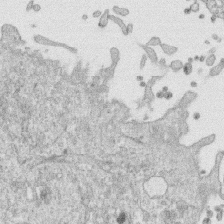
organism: Human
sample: HeLa cell HIV synapse